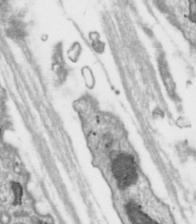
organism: Toxoplasma gondii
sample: Parasites in a vacuole inside a host cell